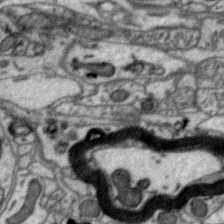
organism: Zebra finch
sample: Brain